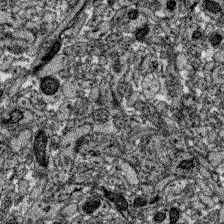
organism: Zebrafish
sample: Larval olfactory bulb